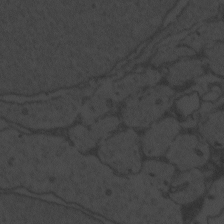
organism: Zebrafish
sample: Macrophage infected with Toxoplasma gondii